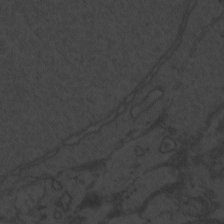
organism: Zebrafish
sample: Macrophage infected with Toxoplasma gondii